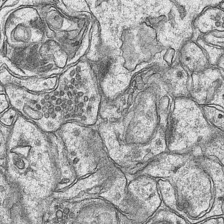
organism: Mouse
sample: CA1 Hippocampus